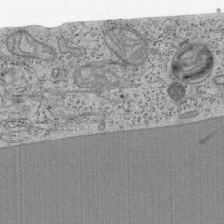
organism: Human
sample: HeLa cells